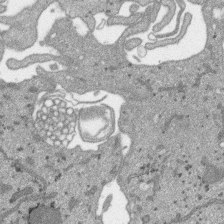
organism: Human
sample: Lung epithelial cells infected with SARS-CoV-2